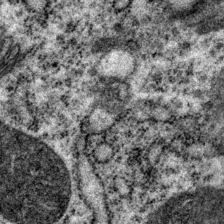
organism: P. pacificus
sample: Pharynx